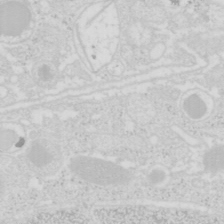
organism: Mouse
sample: Pancreas